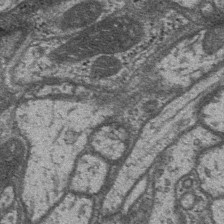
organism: Drosophila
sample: Optic medulla